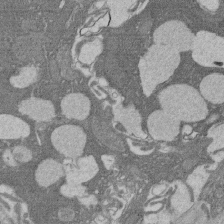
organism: Rat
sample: Salivary granule